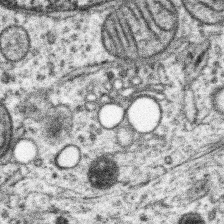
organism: Human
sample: HeLa cells